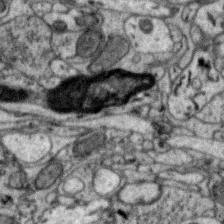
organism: Zebra finch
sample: Brain